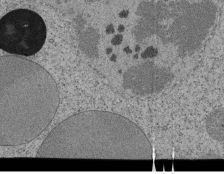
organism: Tetrahymena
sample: Cilia in tetrahymena